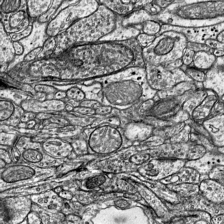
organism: Mouse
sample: Visual Cortex